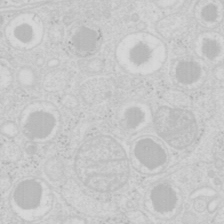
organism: Mouse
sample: Pancreas